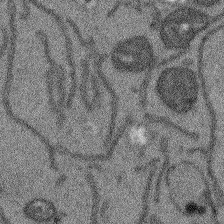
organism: Arabidopsis thaliana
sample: Root tip